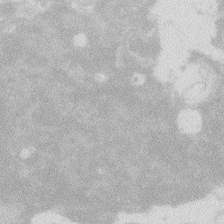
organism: Zebrafish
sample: Macrophage